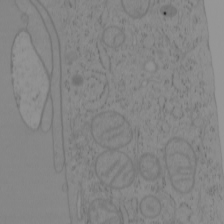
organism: Human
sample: HeLa cells